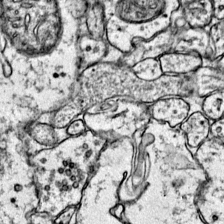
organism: Mouse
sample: Primary visual cortex